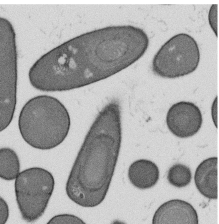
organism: B. subtilis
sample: Bacterial spore